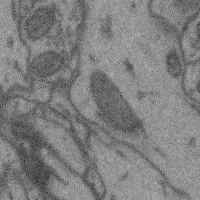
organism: Mouse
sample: Cerebral cortex